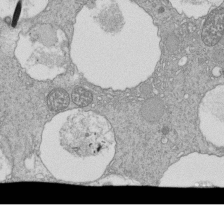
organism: Tetrahymena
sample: Cilia in tetrahymena